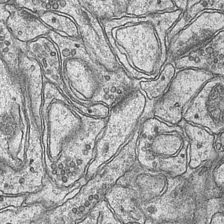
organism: Mouse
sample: CA1 Hippocampus